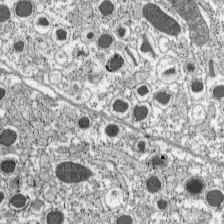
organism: C57BL Mouse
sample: Pancreatic islet